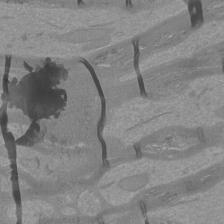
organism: Mouse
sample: Cortical neurons